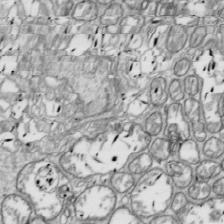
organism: Drosophila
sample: Cell division; meiosis; drosophila spermatocytes